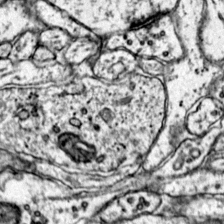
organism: Mouse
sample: Primary visual cortex